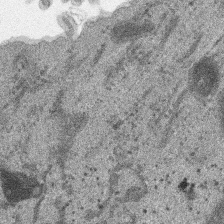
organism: Human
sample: Lung epithelial cells infected with SARS-CoV-2